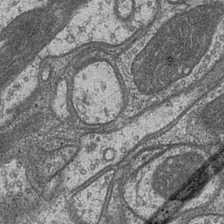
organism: Drosophila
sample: Optic medulla